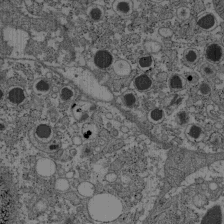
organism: C57BL Mouse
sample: Pancreatic islet